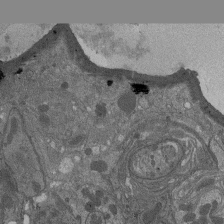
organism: Drosophila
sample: Antenna